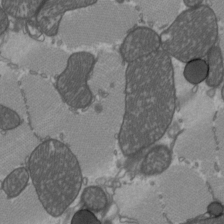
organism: C57BL Mouse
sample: Heart